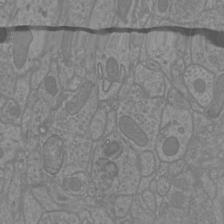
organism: Mouse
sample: Cortical neurons